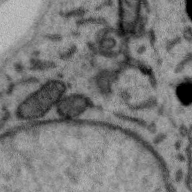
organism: Zebra finch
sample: Brain